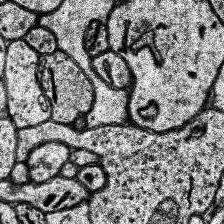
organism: Human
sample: Temporal Lobe